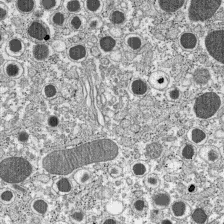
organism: C57BL Mouse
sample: Pancreatic islet